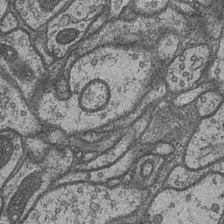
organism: Drosophila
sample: Optic medulla